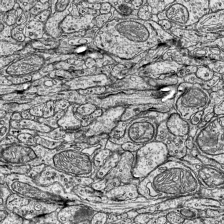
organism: Mouse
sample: Visual Cortex